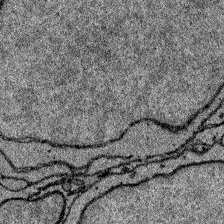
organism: Zebrafish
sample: Larval olfactory bulb